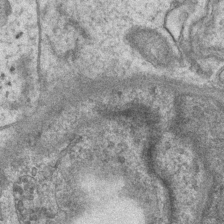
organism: Mouse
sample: CA1 Hippocampus